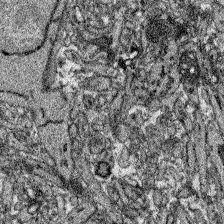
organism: Zebrafish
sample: Larval olfactory bulb